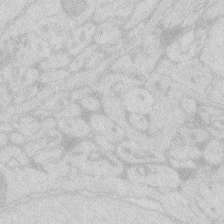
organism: Zebrafish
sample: Macrophage